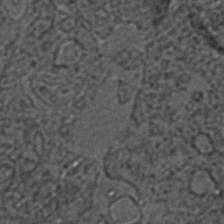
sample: Trachea